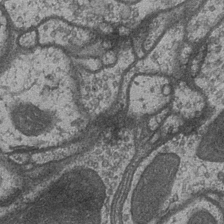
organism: Drosophila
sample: Optic medulla